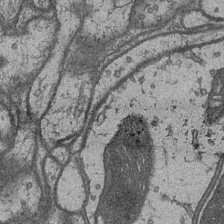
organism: Drosophila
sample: Optic medulla